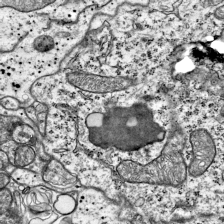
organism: Mouse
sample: Visual Cortex